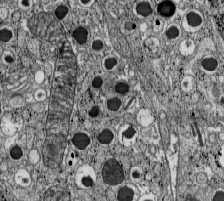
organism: C57BL Mouse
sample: Pancreatic islet